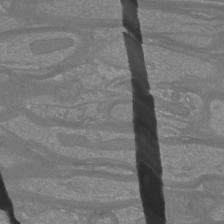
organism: Mouse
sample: Cortical neurons